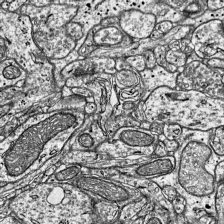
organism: Mouse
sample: Visual Cortex